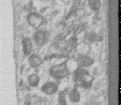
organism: Human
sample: Centriole in RPE cells